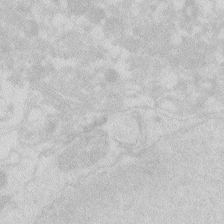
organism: Zebrafish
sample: Macrophage